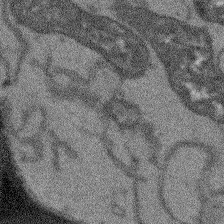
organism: Arabidopsis thaliana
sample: Root tip